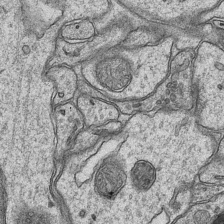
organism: Mouse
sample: CA1 Hippocampus